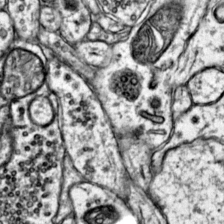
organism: Mouse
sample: Primary visual cortex